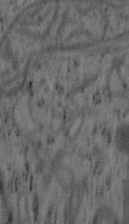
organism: Human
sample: HeLa cells